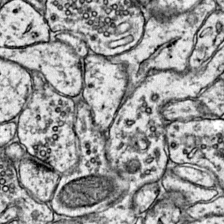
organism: Mouse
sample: Primary visual cortex